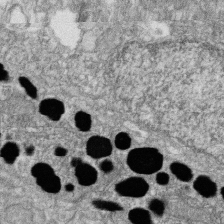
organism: Zebrafish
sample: Cilia; retinal pigment epithelium